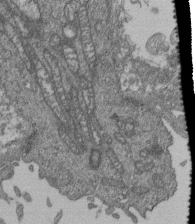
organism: Human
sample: Retinal organoid Rod and Cone cells